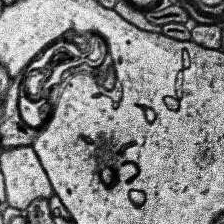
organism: Human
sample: Temporal Lobe